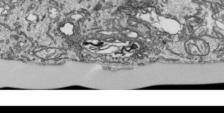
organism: Human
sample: Mitochondria in HCT116 cells